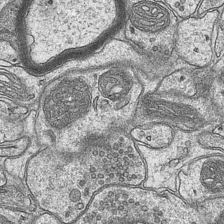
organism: Mouse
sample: CA1 Hippocampus